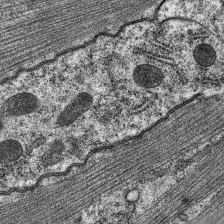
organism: C. elegans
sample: Pharynx